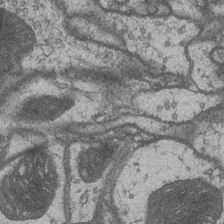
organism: Drosophila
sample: Optic medulla